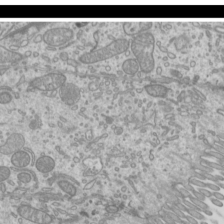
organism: Mouse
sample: Cilia; mouse epididymis